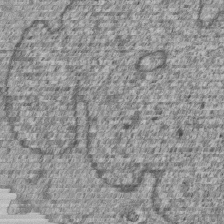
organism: Human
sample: MDA-MB-231 cells